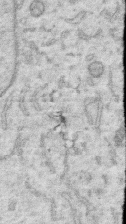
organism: Human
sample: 1205lu cells